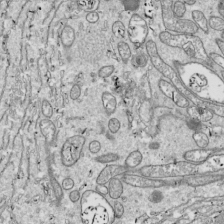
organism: Drosophila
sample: Cell division; meiosis; drosophila spermatocytes